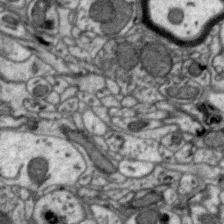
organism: Zebra finch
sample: Brain